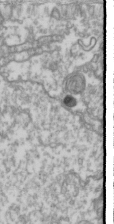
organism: Drosophila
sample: Cell division; meiosis; drosophila spermatocytes